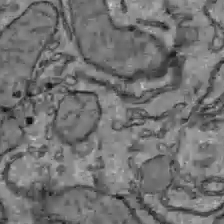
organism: C57BL Mouse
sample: Liver